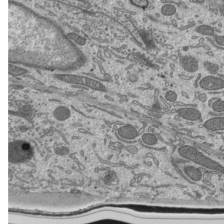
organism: Mouse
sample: Mouse epididymis efferent ductule cilia